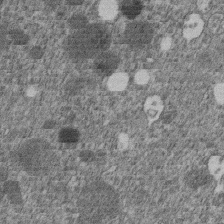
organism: C. elegans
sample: C. elegans embryo early stage